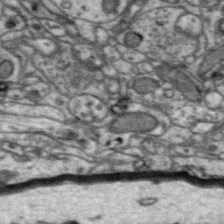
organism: Zebra finch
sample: Brain